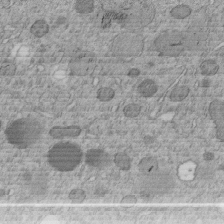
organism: C. elegans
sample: C. elegans embryo early stage